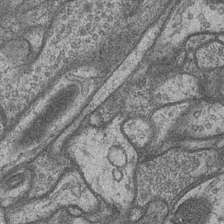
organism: Drosophila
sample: Optic medulla